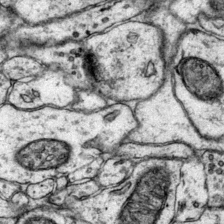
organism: Mouse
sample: Primary visual cortex